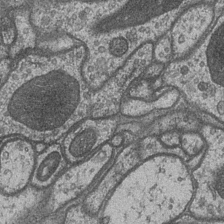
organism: Drosophila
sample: Optic medulla